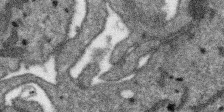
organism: Human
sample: Lung epithelial cells infected with SARS-CoV-2